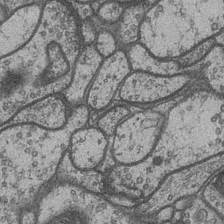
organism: Drosophila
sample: Optic medulla